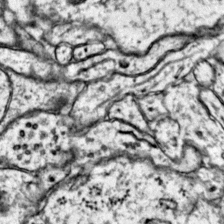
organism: Mouse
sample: Primary visual cortex